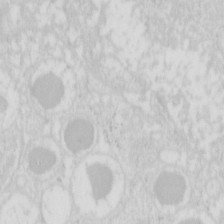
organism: Mouse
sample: Pancreas